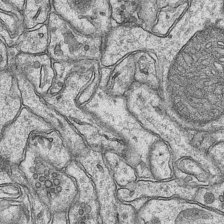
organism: Mouse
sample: CA1 Hippocampus